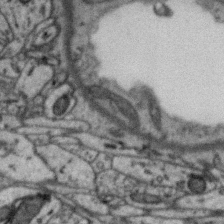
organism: Zebra finch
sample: Brain